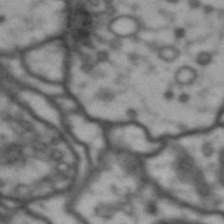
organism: Drosophila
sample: Brain